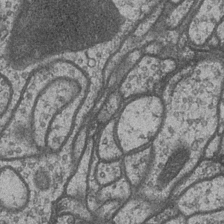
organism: Drosophila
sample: Optic medulla